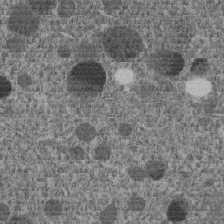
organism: C. elegans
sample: C. elegans embryo early stage